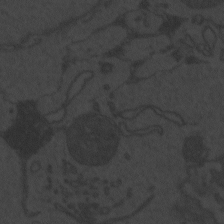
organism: Zebrafish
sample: Macrophage infected with Toxoplasma gondii